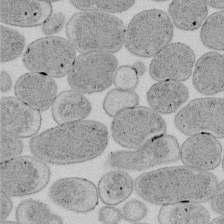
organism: E. coli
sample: Bacterial nucleoid